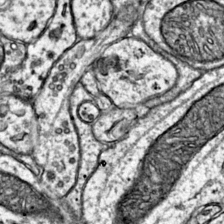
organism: Mouse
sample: Primary visual cortex